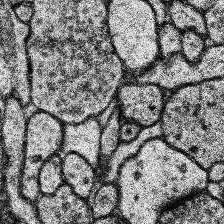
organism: Human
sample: Temporal Lobe